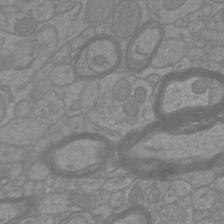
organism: Mouse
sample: Cortical neurons